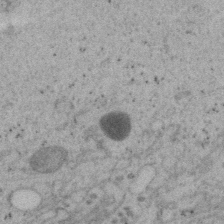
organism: Human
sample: HeLa cells